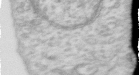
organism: Human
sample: Centriole in RPE cells